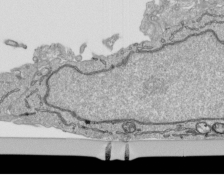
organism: Human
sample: Mitochondria in HCT116 cells